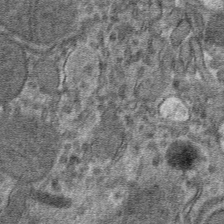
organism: Mouse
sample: Mouse hepatocytes